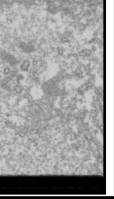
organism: Drosophila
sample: Cell division; meiosis; drosophila spermatocytes